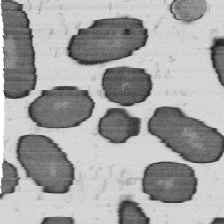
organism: B. subtilis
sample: Bacterial spore